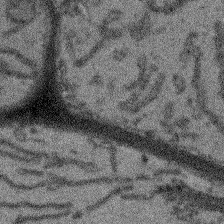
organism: Arabidopsis thaliana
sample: Root tip